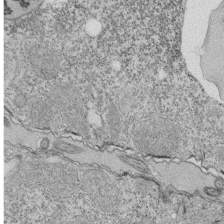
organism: Tetrahymena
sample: Cilia in tetrahymena